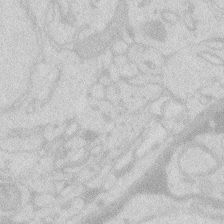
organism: Zebrafish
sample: Macrophage